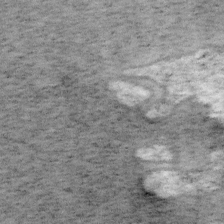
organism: Mouse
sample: OT-I killer T cells with ID8 ovarian cancer cells